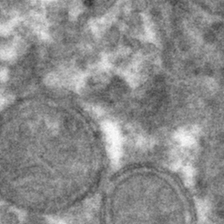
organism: Mouse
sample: Mouse hepatocytes